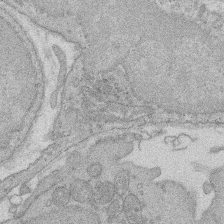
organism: Rat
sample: Salivary granule